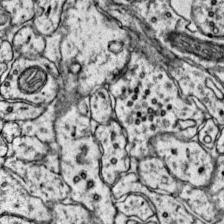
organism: Mouse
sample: Primary visual cortex